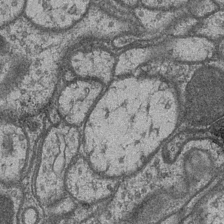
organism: Drosophila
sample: Optic medulla